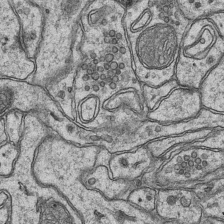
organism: Mouse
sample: CA1 Hippocampus